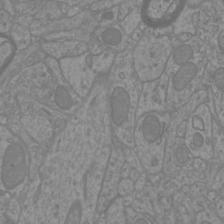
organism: Mouse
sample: Cortical neurons